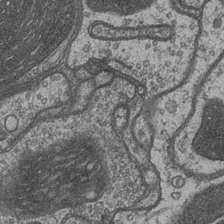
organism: Drosophila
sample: Optic medulla